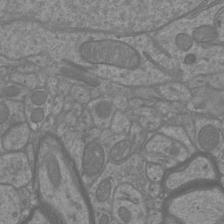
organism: Mouse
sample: Cortical neurons